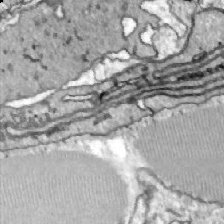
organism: Zebrafish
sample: Actinotrichia fibers